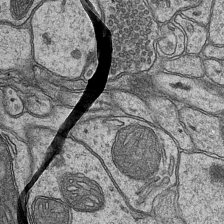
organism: Mouse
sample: CA1 Hippocampus